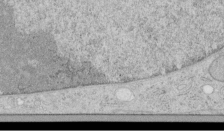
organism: Human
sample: Mitochondria in HCT116 cells